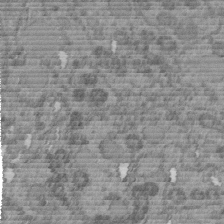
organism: C. elegans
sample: C. elegans embryo early stage